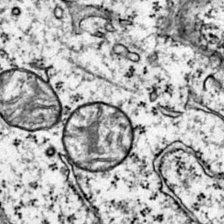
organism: Mouse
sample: Primary visual cortex